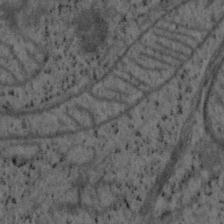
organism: Human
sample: HeLa cells